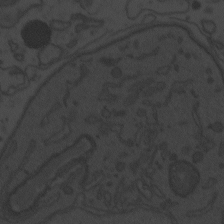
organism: Zebrafish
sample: Macrophage infected with Toxoplasma gondii